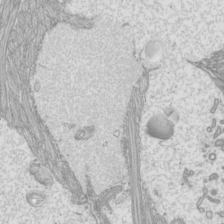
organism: Mouse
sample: Cilia; mouse epididymis